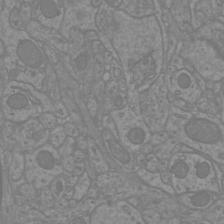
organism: Mouse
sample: Cortical neurons